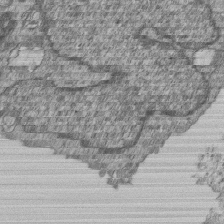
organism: Human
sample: MDA-MB-231 cells